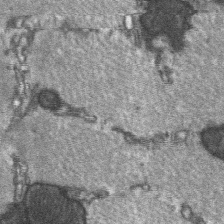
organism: C57BL Mouse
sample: Soleus